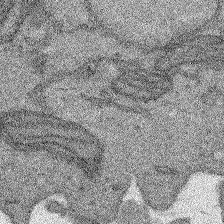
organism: Human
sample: HeLa cells